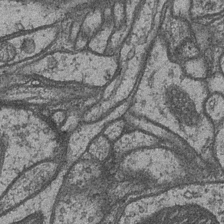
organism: Drosophila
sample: Optic medulla